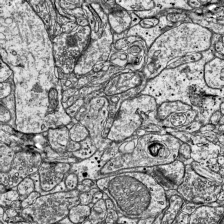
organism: Mouse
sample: Visual Cortex